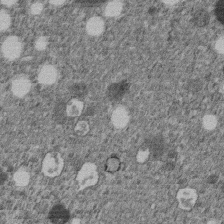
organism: C. elegans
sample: C. elegans embryo early stage